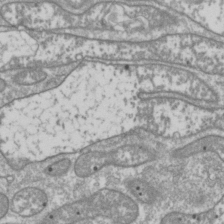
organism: Drosophila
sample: Cell division; meiosis; drosophila spermatocytes